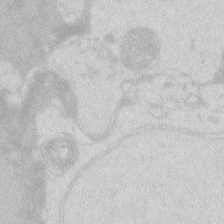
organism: Zebrafish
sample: Macrophage